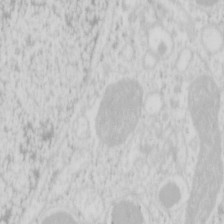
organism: Mouse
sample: Pancreas